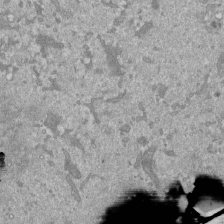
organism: Mouse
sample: ED-1 cell nuclei; centrioles